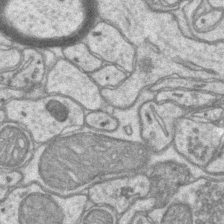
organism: Mouse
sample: CA1 Hippocampus